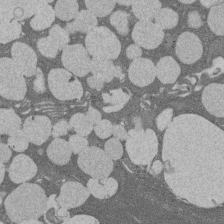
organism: Rat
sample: Salivary granule